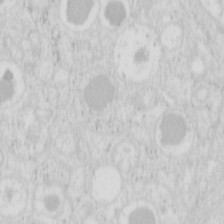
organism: Mouse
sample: Pancreas